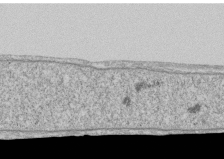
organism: Human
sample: CRL-1474